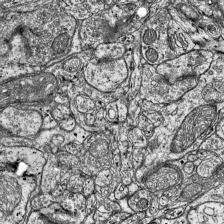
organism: Mouse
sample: Visual Cortex